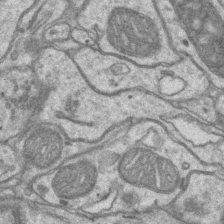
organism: Mouse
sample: CA1 Hippocampus